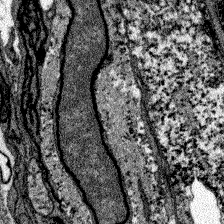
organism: Zebrafish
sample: Larval olfactory bulb